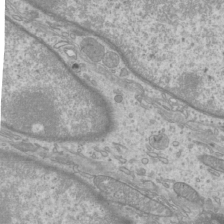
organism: Mouse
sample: Cilia; mouse epididymis